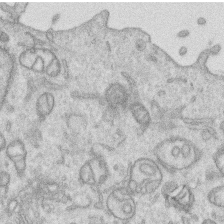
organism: Human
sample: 1205lu cells